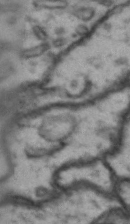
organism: Drosophila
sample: Brain